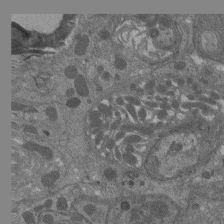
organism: Drosophila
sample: Antenna